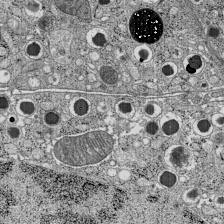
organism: C57BL Mouse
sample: Pancreatic islet